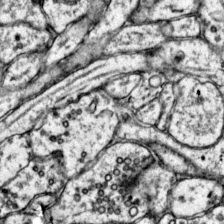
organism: Mouse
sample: Primary visual cortex